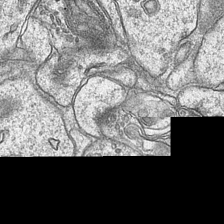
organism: Mouse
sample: CA1 Hippocampus